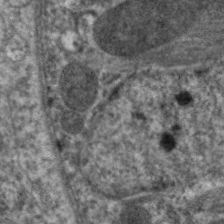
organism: C. elegans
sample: Pharynx